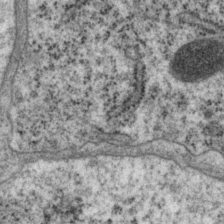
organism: P. pacificus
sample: Pharynx